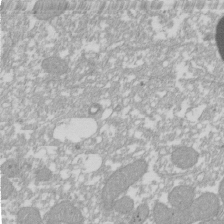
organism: Xenopus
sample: Cilia; centrioles in frog embryo cells